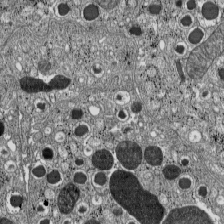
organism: C57BL Mouse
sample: Pancreatic islet